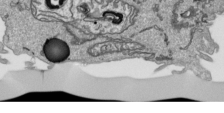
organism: Human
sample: Mitochondria in HCT116 cells